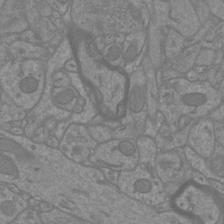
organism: Mouse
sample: Cortical neurons